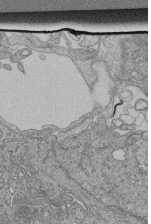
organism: Human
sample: Retinal organoid Rod and Cone cells